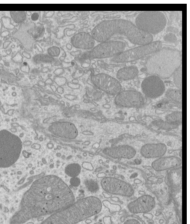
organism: Mouse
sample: Cilia; mouse epididymis